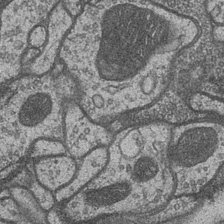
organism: Drosophila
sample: Optic medulla